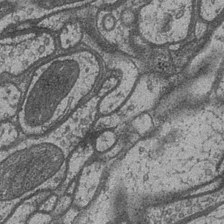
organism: Drosophila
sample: Optic medulla